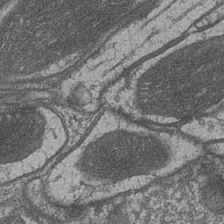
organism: Drosophila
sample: Optic medulla